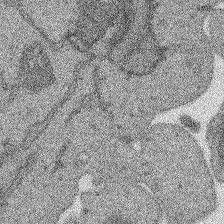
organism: Human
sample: HeLa cells